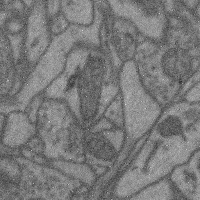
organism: Mouse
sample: Cerebral cortex